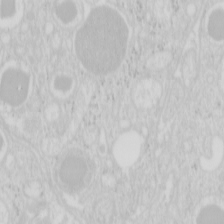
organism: Mouse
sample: Pancreas